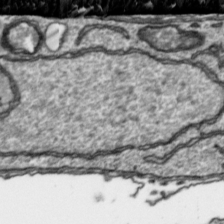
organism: Toxoplasma gondii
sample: Parasites in a vacuole inside a host cell